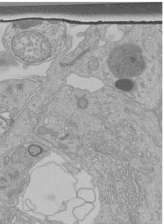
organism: Human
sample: Retinal organoid Rod and Cone cells